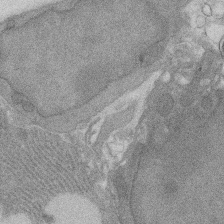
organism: Rat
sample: Salivary granule